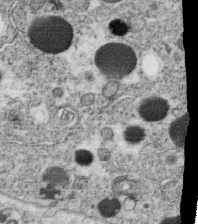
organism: C. elegans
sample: C. elegans oocyte; sperm cells